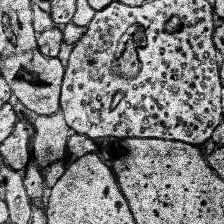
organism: Human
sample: Temporal Lobe